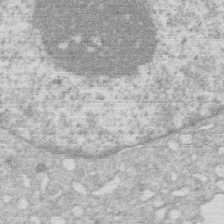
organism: Human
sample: Macrophage cells